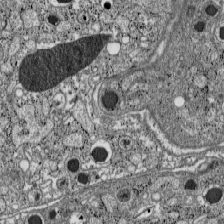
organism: C57BL Mouse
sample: Pancreatic islet